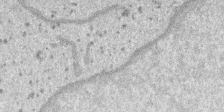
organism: Human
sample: Lung epithelial cells infected with SARS-CoV-2